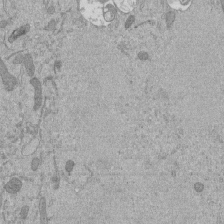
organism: Mouse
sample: ED-1 cell nuclei; centrioles